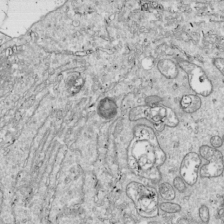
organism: Drosophila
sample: Cell division; meiosis; drosophila spermatocytes